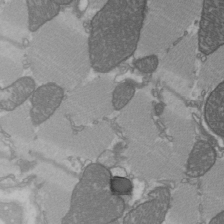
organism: C57BL Mouse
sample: Heart